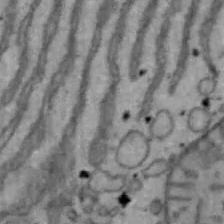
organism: Mouse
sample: Liver